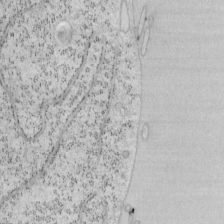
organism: Mouse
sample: OT-I killer T cells with ID8 ovarian cancer cells